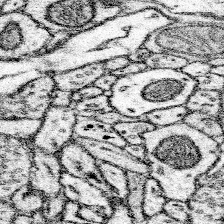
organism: Mouse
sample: Somatosensory cortex neuropil